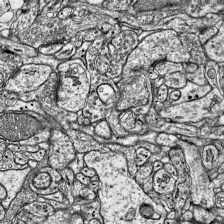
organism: Mouse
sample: Visual Cortex